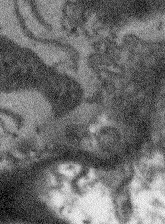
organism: Arabidopsis thaliana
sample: Root tip